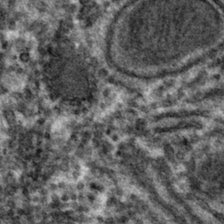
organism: Mouse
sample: Mouse hepatocytes